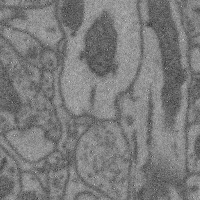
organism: Mouse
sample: Cerebral cortex